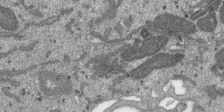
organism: Human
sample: Lung epithelial cells infected with SARS-CoV-2